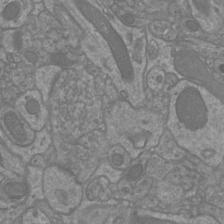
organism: Mouse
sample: Cortical neurons